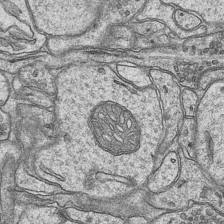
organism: Mouse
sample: CA1 Hippocampus